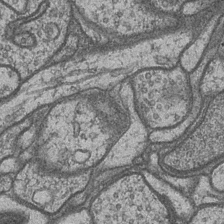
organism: Drosophila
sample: Optic medulla